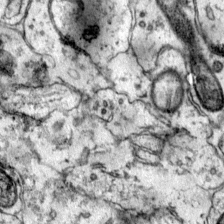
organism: Mouse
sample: Primary visual cortex